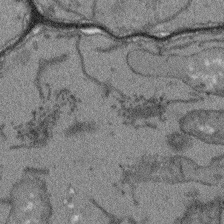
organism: Arabidopsis thaliana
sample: Root tip